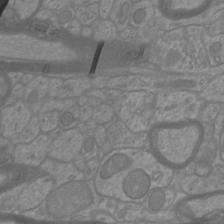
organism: Mouse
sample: Cortical neurons